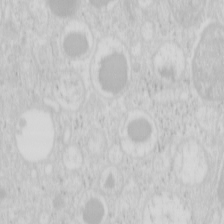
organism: Mouse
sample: Pancreas